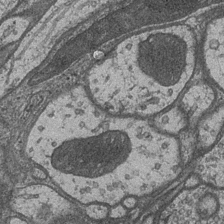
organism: Drosophila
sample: Optic medulla